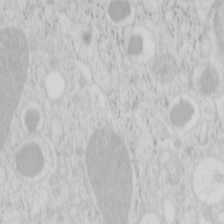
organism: Mouse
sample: Pancreas